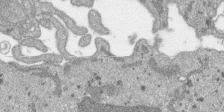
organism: Human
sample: Lung epithelial cells infected with SARS-CoV-2